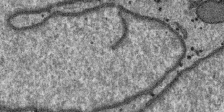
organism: Human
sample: Lung epithelial cells, uninfected (mock) control